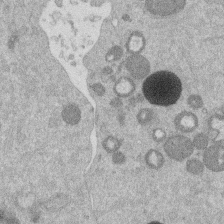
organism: Mouse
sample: Dividing mouse embryo 1 cell stage